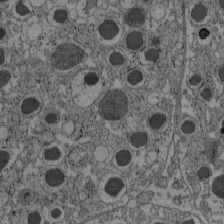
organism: C57BL Mouse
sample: Pancreatic islet